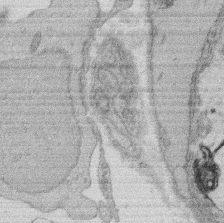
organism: Rat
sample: Salivary granule